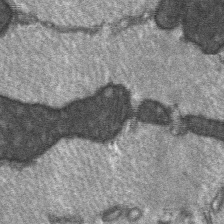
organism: C57BL Mouse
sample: Soleus